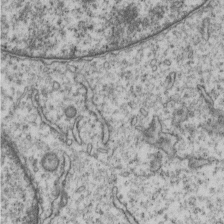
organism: Human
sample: MDA-MB-231 cells